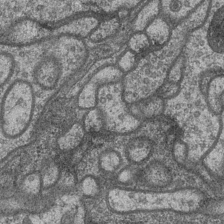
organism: Drosophila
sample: Optic medulla